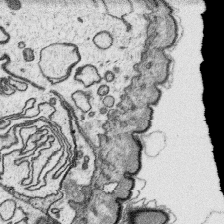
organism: Platynereis dumerilii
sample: Parapodia